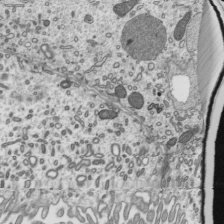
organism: Mouse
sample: Mouse epididymis efferent ductule cilia